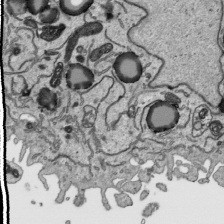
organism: Human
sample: Mitochondria in HCT116 cells